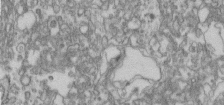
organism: Human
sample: Centriole in fibroblast cells